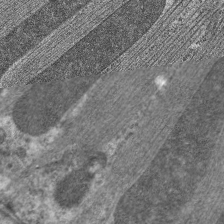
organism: C. elegans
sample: Pharynx